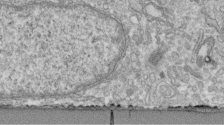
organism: Human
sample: Centriole in fibroblast cells